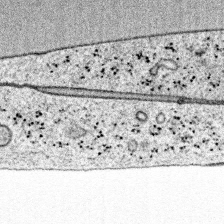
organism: Human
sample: HeLa cells